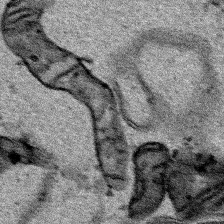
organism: Human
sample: Mitochondria in HCT116 cells